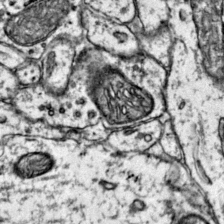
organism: Mouse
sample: Primary visual cortex